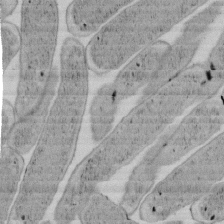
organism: E. coli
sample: Bacterial nucleoid